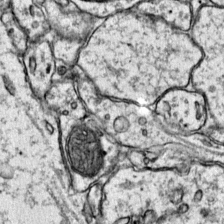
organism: Mouse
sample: Primary visual cortex